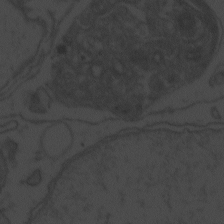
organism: Zebrafish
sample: Macrophage infected with Toxoplasma gondii